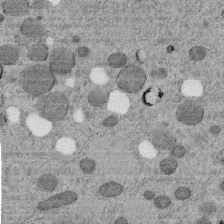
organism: C. elegans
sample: C. elegans embryo early stage